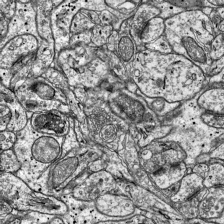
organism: Mouse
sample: Visual Cortex